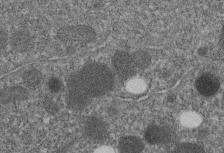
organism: C. elegans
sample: C. elegans embryo early stage